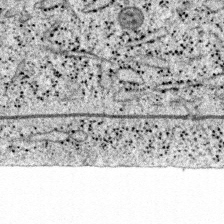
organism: Human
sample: HeLa cells